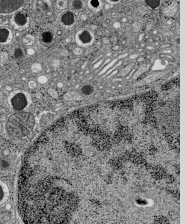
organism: C57BL Mouse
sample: Pancreatic islet